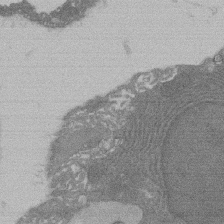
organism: Rat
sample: Salivary granule